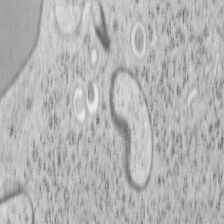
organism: Human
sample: HeLa cells